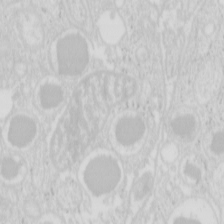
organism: Mouse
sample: Pancreas